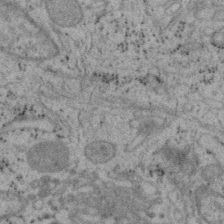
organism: Human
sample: HeLa cells